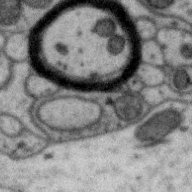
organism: Zebra finch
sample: Brain